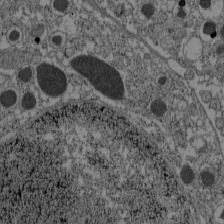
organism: C57BL Mouse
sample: Pancreatic islet